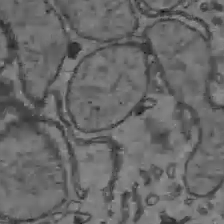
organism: C57BL Mouse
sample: Liver